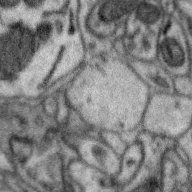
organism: Zebra finch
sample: Brain